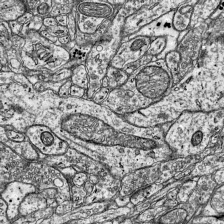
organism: Mouse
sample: Visual Cortex